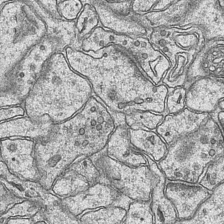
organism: Mouse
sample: CA1 Hippocampus